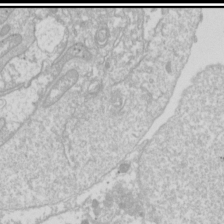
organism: Drosophila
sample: Cell division; meiosis; drosophila spermatocytes